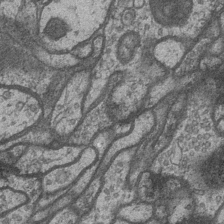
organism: Drosophila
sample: Optic medulla